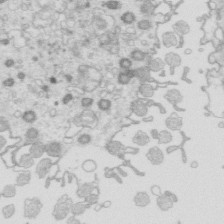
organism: Mouse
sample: Multiciliated cells